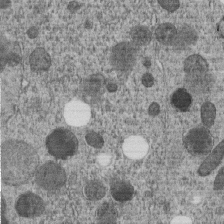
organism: C. elegans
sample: C. elegans embryo early stage